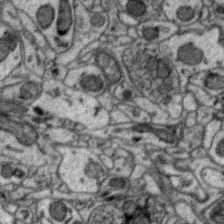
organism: Zebra finch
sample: Brain